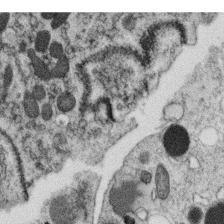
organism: C. elegans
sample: C. elegans oocyte; sperm cells